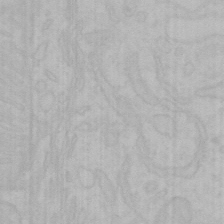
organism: Mouse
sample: Choroid plexus